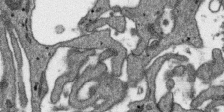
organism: Human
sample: Lung epithelial cells, uninfected (mock) control